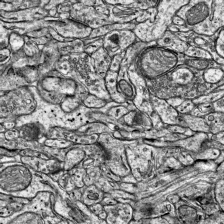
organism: Mouse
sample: Visual Cortex